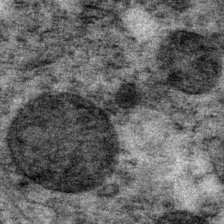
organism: P. pacificus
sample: Pharynx